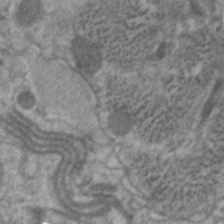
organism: C. elegans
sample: Pharynx